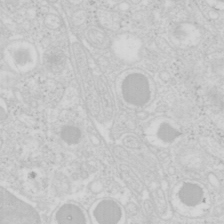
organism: Mouse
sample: Pancreas